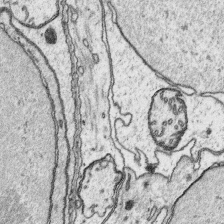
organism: Platynereis dumerilii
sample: Parapodia